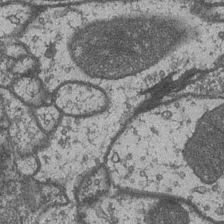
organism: Drosophila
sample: Optic medulla